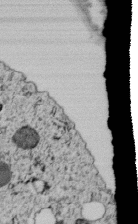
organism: C. elegans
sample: C. elegans embryo early stage